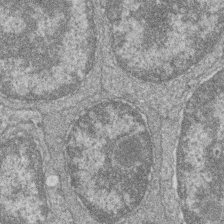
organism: Zebrafish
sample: Cilia; retinal pigment epithelium